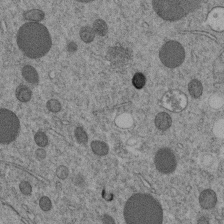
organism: C. elegans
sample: C. elegans embryo early stage